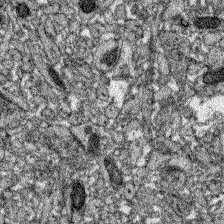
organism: Zebrafish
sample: Larval olfactory bulb